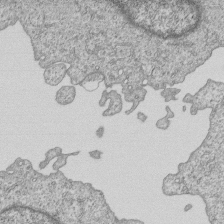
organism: Human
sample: MDA-MB-231 cells